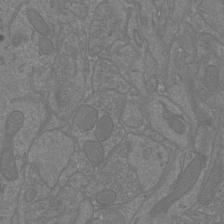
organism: Mouse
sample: Cortical neurons